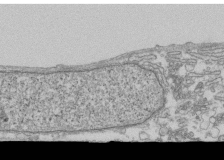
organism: Human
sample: Fibroblast cells